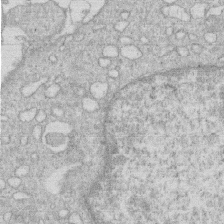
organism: Human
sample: Macrophage cells